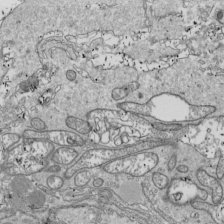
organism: Drosophila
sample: Cell division; meiosis; drosophila spermatocytes